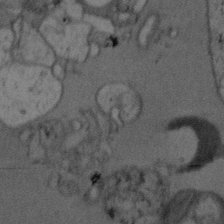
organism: Human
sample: HeLa cells